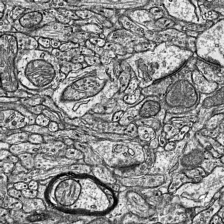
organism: Mouse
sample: Visual Cortex